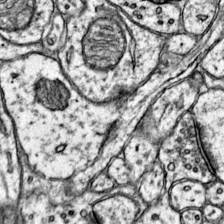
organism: Mouse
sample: Primary visual cortex